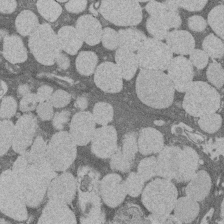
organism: Rat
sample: Salivary granule